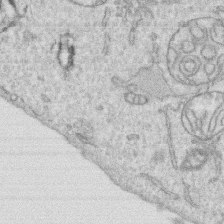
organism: Human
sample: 1205lu cells